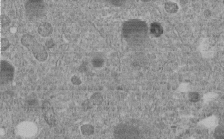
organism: C. elegans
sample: C. elegans embryo early stage